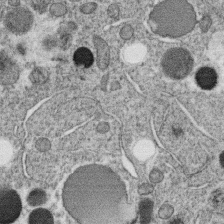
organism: C. elegans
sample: C. elegans oocyte; sperm cells